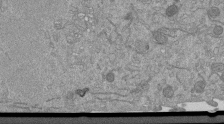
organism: Mouse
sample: ED-1 cell nuclei; centrioles